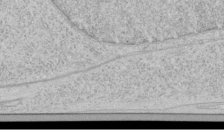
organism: Human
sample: Mitochondria in HCT116 cells